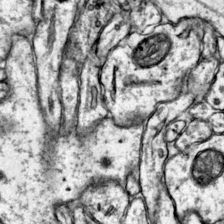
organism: Mouse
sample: Primary visual cortex